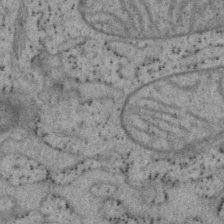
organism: Human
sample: HeLa cells